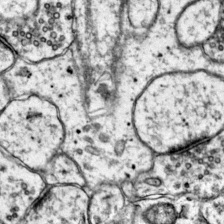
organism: Mouse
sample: Primary visual cortex